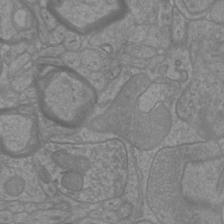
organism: Mouse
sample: Cortical neurons